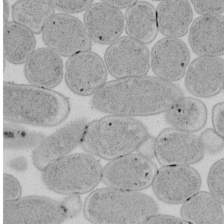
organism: E. coli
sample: Bacterial nucleoid